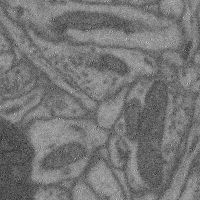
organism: Mouse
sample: Cerebral cortex